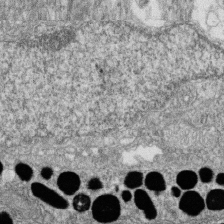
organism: Zebrafish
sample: Cilia; retinal pigment epithelium